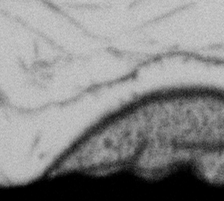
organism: Gemmata obscuriglobus